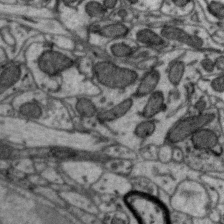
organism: Zebra finch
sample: Brain